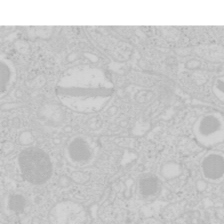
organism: Mouse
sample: Pancreas